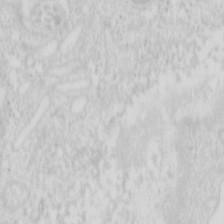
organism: Mouse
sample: Pancreas